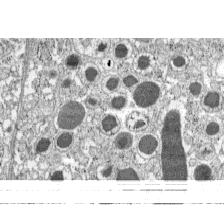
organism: C57BL Mouse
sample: Pancreatic islet